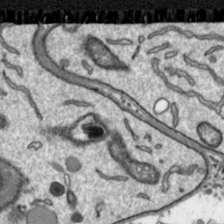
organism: Toxoplasma gondii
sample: Parasites in a vacuole inside a host cell